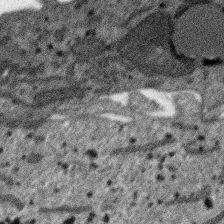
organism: Human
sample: Lung epithelial cells infected with SARS-CoV-2